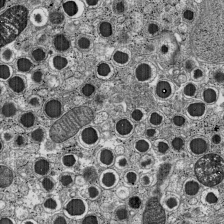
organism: C57BL Mouse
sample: Pancreatic islet